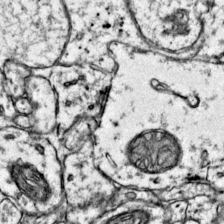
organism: Mouse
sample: Primary visual cortex